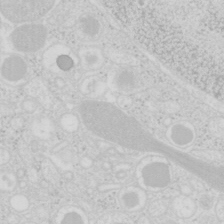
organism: Mouse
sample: Pancreas